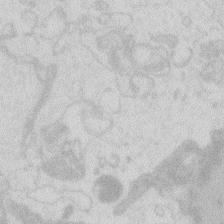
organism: Zebrafish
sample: Macrophage